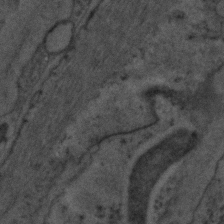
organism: C. elegans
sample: C. elegans embryo